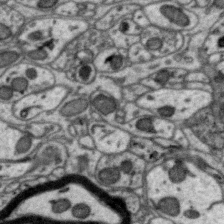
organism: Zebra finch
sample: Brain